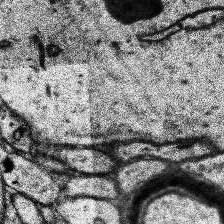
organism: Human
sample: Temporal Lobe